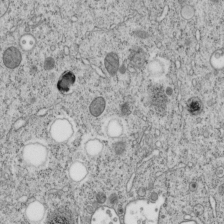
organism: C. elegans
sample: C. elegans embryo early stage